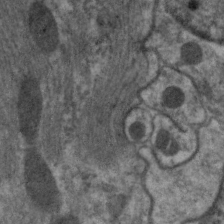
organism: C. elegans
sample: Pharynx